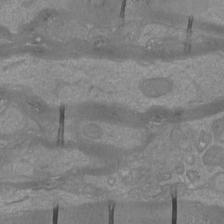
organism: Mouse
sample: Cortical neurons